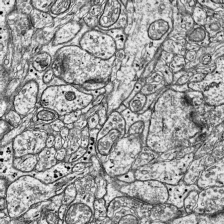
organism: Mouse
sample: Visual Cortex